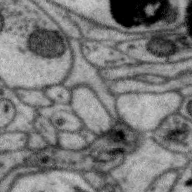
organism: Zebra finch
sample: Brain